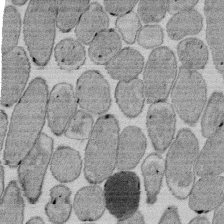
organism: E. coli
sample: Bacterial nucleoid